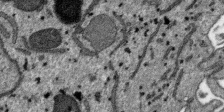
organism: Human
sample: Lung epithelial cells, uninfected (mock) control